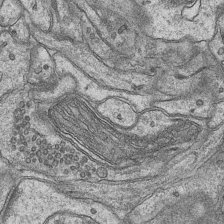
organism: Mouse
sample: CA1 Hippocampus